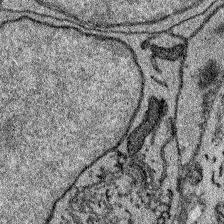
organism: Zebrafish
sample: Larval olfactory bulb